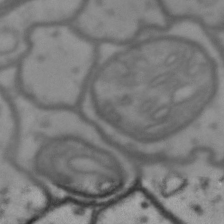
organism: Drosophila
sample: Brain